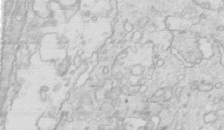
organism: Mouse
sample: Multiciliated cells